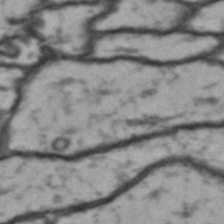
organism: Drosophila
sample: Brain